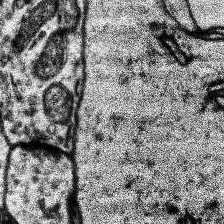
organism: Human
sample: Temporal Lobe